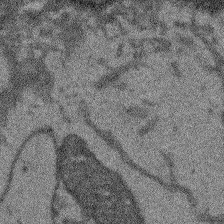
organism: Arabidopsis thaliana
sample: Root tip